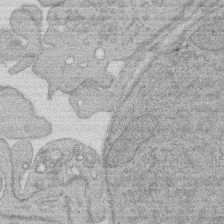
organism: Rat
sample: Salivary granule